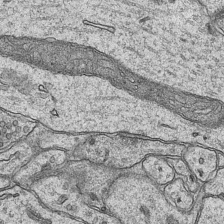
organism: Mouse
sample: CA1 Hippocampus